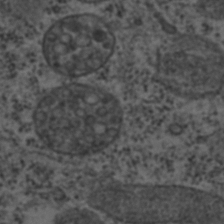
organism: C. elegans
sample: C. elegans embryo